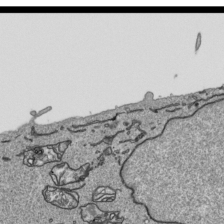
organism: Human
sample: Mitochondria in HCT116 cells